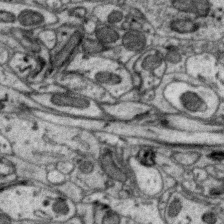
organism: Zebra finch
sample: Brain